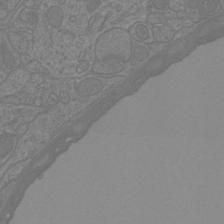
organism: Mouse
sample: Cortical neurons